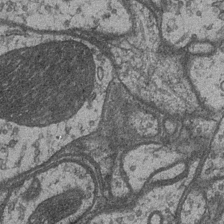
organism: Drosophila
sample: Optic medulla